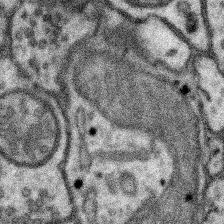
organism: Mouse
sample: Somatosensory cortex neuropil